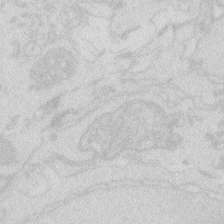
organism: Zebrafish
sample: Macrophage